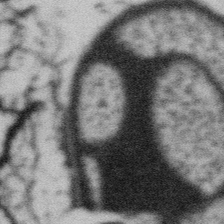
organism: Gemmata obscuriglobus